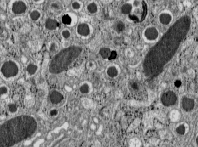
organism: C57BL Mouse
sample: Pancreatic islet